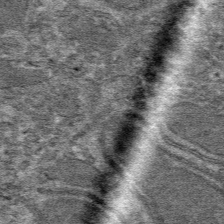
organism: Mouse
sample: Mouse hepatocytes